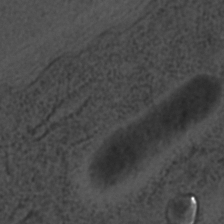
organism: C. elegans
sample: C. elegans embryo